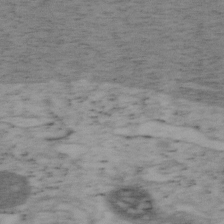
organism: Mouse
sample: OT-I killer T cells with ID8 ovarian cancer cells